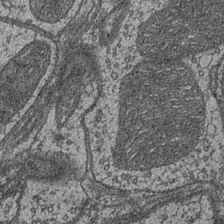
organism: Drosophila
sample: Optic medulla